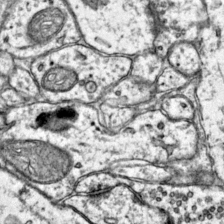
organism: Mouse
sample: Primary visual cortex